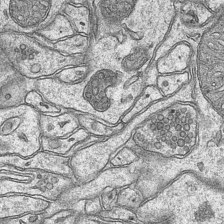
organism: Mouse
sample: CA1 Hippocampus